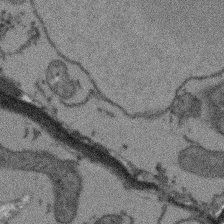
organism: Arabidopsis thaliana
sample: Root tip